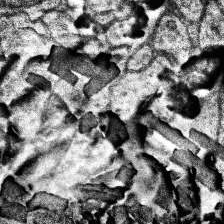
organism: Human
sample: Temporal Lobe